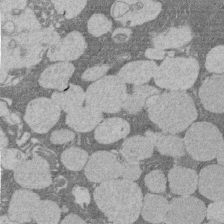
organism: Rat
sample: Salivary granule